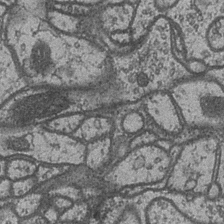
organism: Drosophila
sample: Optic medulla